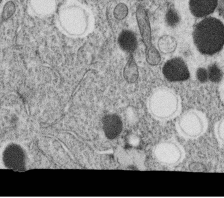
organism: C. elegans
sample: C. elegans oocyte; sperm cells